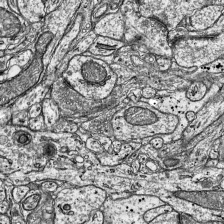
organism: Mouse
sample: Visual Cortex